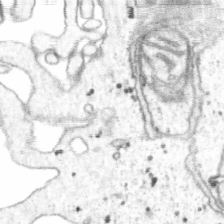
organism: Human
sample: HeLa cells